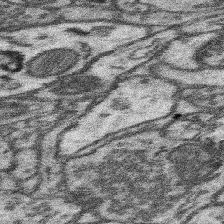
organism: Mouse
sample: Somatosensory cortex neuropil